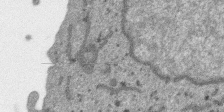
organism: Human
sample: Lung epithelial cells infected with SARS-CoV-2